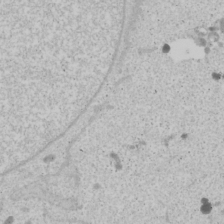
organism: Human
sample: Mitochondria in U2OS cells